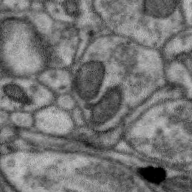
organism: Zebra finch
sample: Brain